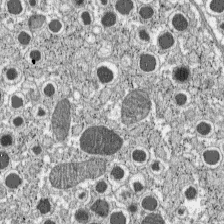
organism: C57BL Mouse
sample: Pancreatic islet